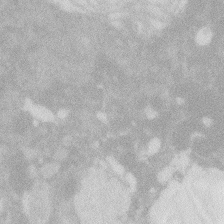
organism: Zebrafish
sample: Macrophage